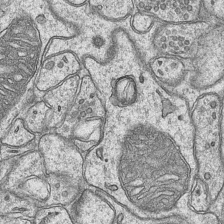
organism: Mouse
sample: CA1 Hippocampus